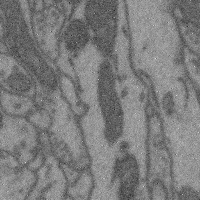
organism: Mouse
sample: Cerebral cortex